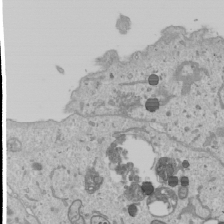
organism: Human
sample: Mitochondria in U2OS cells